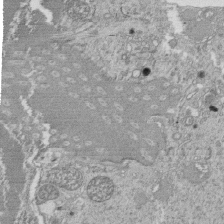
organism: Tetrahymena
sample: Cilia in tetrahymena